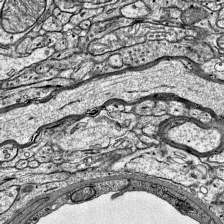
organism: Mouse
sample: Visual Cortex